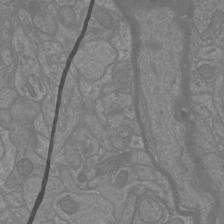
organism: Mouse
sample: Cortical neurons